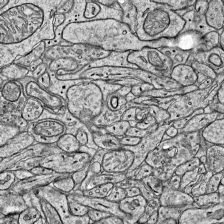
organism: Mouse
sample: Visual Cortex